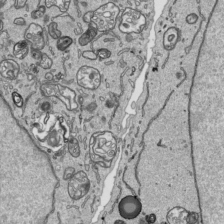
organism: Human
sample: Mitochondria in HCT116 cells